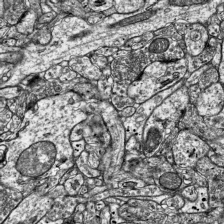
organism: Mouse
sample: Visual Cortex